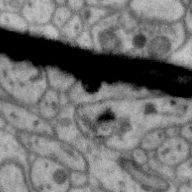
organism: Zebra finch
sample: Brain